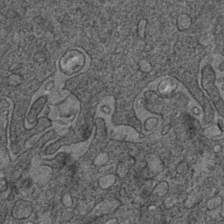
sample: Trachea